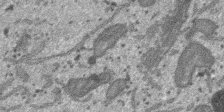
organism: Human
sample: Lung epithelial cells infected with SARS-CoV-2